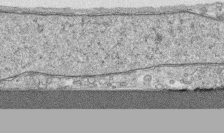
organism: Human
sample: CRL-1474